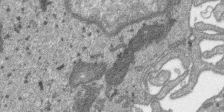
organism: Human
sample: Lung epithelial cells infected with SARS-CoV-2